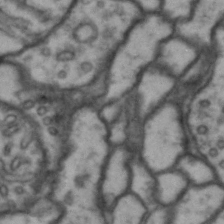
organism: Drosophila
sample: Brain